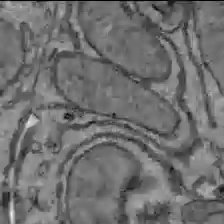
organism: C57BL Mouse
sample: Liver